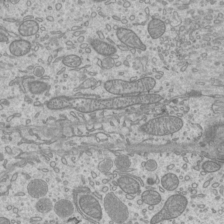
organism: Mouse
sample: Cilia; mouse epididymis